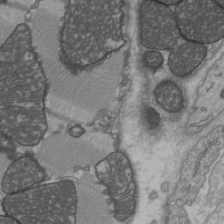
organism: C57BL Mouse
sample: Heart